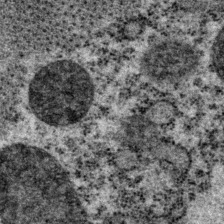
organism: P. pacificus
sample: Pharynx